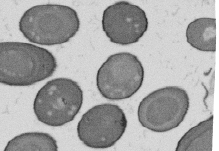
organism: B. subtilis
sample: Bacterial spore